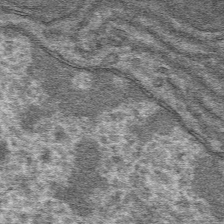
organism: Mouse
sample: Mouse hepatocytes